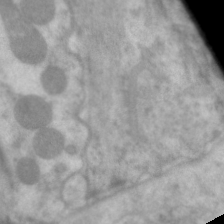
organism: C. elegans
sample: Pharynx